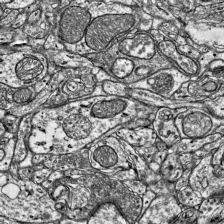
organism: Mouse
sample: Visual Cortex